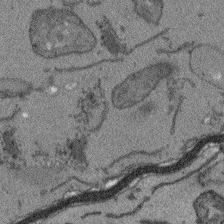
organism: Arabidopsis thaliana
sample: Root tip